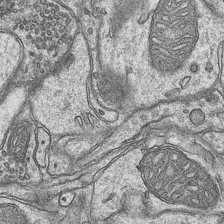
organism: Mouse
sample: CA1 Hippocampus